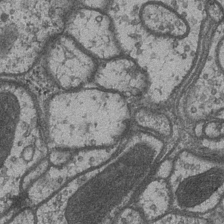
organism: Drosophila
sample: Optic medulla